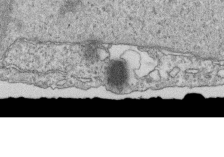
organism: Human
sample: HeLa cell HIV synapse